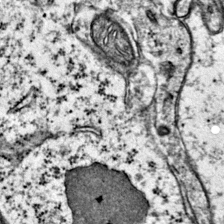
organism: Mouse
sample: Primary visual cortex